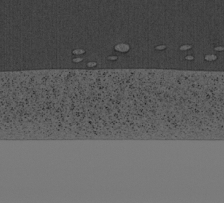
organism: African green monkey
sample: COS-7 cells